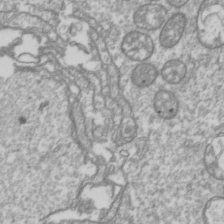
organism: Drosophila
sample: Cell division; meiosis; drosophila spermatocytes